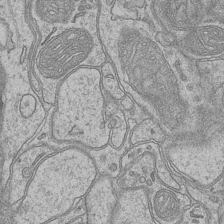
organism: Mouse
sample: CA1 Hippocampus